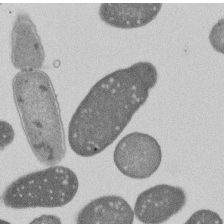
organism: E. coli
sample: Bacterial nucleoid